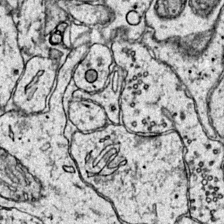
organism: Mouse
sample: Primary visual cortex